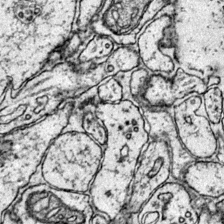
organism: Mouse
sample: Primary visual cortex